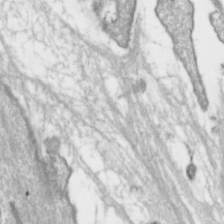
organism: Toxoplasma gondii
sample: Parasites in a vacuole inside a host cell